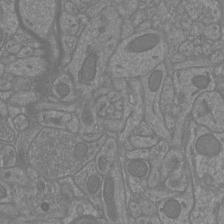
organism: Mouse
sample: Cortical neurons